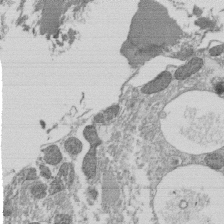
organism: Tetrahymena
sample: Cilia in tetrahymena